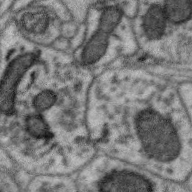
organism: Zebra finch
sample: Brain